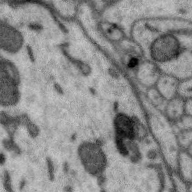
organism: Zebra finch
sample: Brain